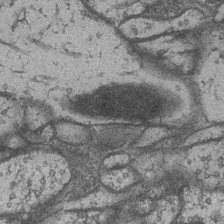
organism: Drosophila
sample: Optic medulla